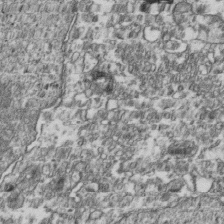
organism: Human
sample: Activated Jurkat CD4+ T cells